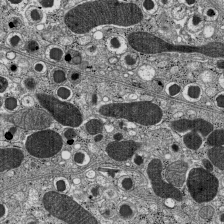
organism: C57BL Mouse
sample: Pancreatic islet